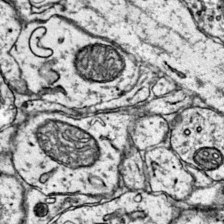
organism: Mouse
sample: Primary visual cortex